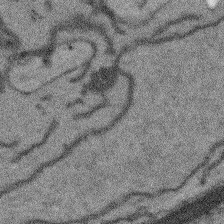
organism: Arabidopsis thaliana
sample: Root tip